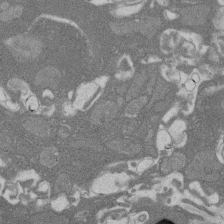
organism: Rat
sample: Salivary granule